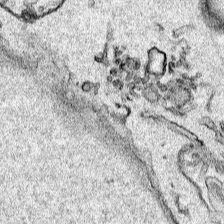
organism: Human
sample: Mitochondria in HCT116 cells